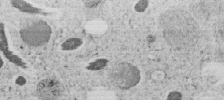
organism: C. elegans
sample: C. elegans embryo early stage